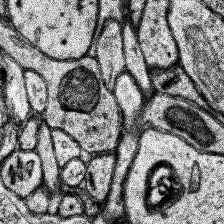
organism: Human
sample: Temporal Lobe